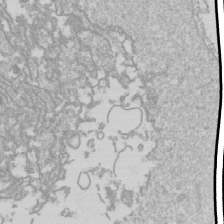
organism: Drosophila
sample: Cell division; meiosis; drosophila spermatocytes